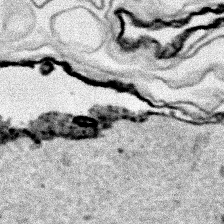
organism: Human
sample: Mitochondria in HCT116 cells